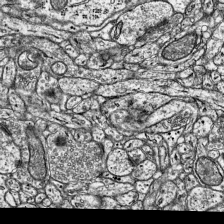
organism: Mouse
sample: Visual Cortex